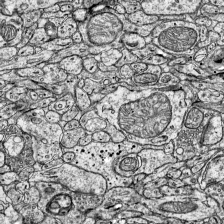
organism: Mouse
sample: Visual Cortex